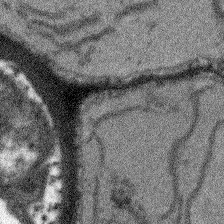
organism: Arabidopsis thaliana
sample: Root tip